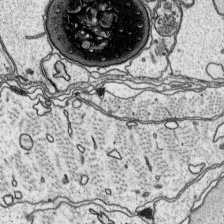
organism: Platynereis dumerilii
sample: Parapodia